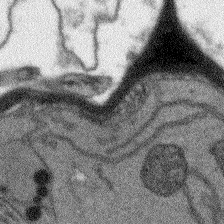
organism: Arabidopsis thaliana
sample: Root tip